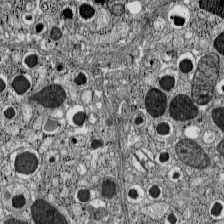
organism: C57BL Mouse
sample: Pancreatic islet